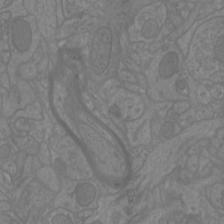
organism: Mouse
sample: Cortical neurons